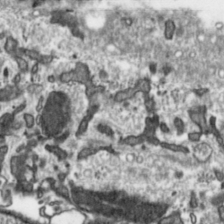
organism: Toxoplasma gondii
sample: Parasites in a vacuole inside a host cell